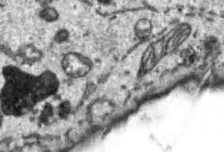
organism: Human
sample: HeLa cells